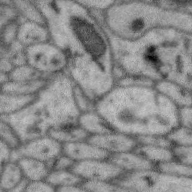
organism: Zebra finch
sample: Brain